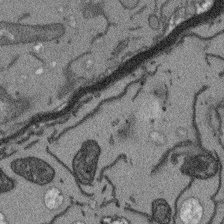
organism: Arabidopsis thaliana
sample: Root tip